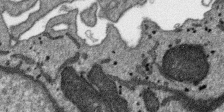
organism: Human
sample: Lung epithelial cells, uninfected (mock) control